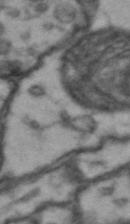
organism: Drosophila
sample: Brain